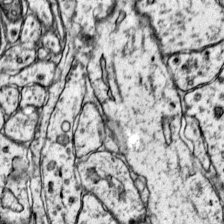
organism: Mouse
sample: Primary visual cortex